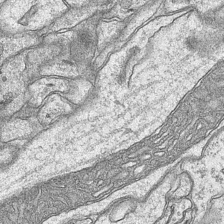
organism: Mouse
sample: CA1 Hippocampus